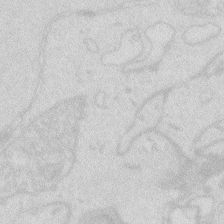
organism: Zebrafish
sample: Macrophage